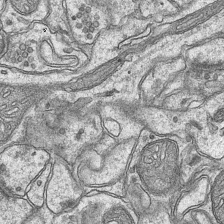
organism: Mouse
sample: CA1 Hippocampus